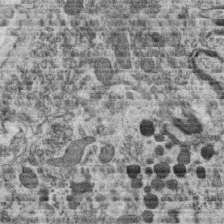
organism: C. elegans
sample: C. elegans oocyte; sperm cells